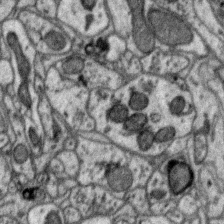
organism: Zebra finch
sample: Brain